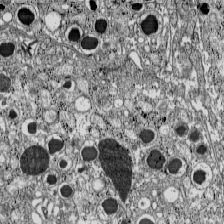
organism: C57BL Mouse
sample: Pancreatic islet